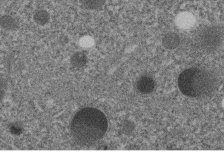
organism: C. elegans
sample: C. elegans embryo early stage